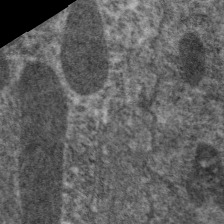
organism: C. elegans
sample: Pharynx